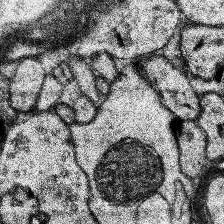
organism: Human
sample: Temporal Lobe